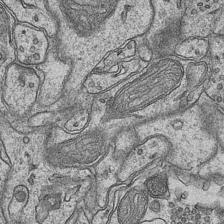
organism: Mouse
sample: CA1 Hippocampus